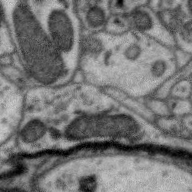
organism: Zebra finch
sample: Brain